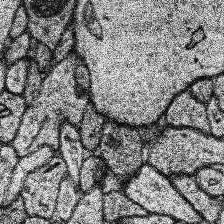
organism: Human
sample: Temporal Lobe